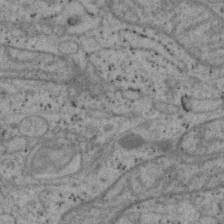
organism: Human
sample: HeLa cells